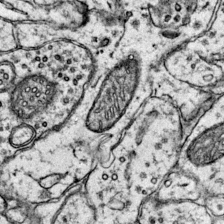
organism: Mouse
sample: Primary visual cortex